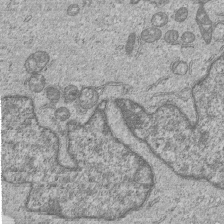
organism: Human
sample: MDA-MB-231 cells